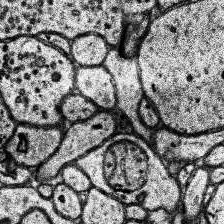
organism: Human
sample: Temporal Lobe